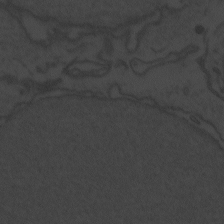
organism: Zebrafish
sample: Macrophage infected with Toxoplasma gondii